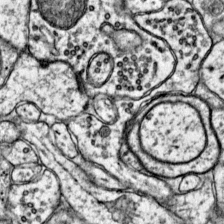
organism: Mouse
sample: Primary visual cortex